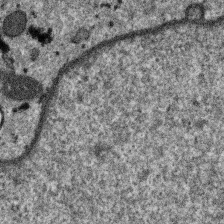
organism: Human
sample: Lung epithelial cells infected with SARS-CoV-2